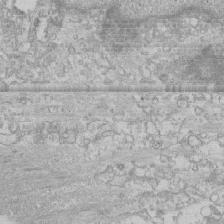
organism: Human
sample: CRL-1474